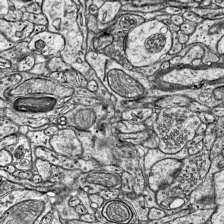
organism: Mouse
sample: Visual Cortex